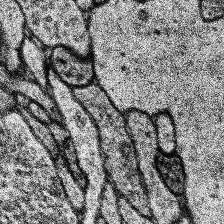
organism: Human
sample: Temporal Lobe